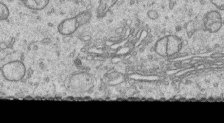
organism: Human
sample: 1205lu cells